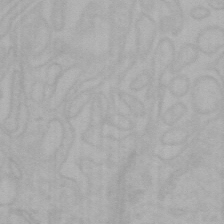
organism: Mouse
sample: Choroid plexus